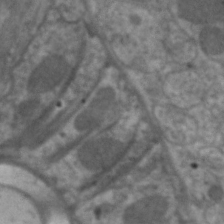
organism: C. elegans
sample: Pharynx